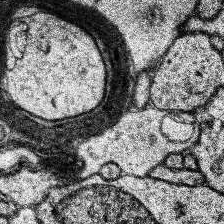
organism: Human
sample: Temporal Lobe